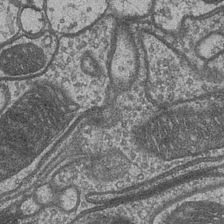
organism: Drosophila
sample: Optic medulla